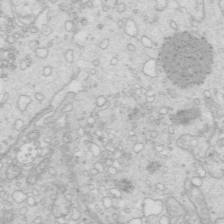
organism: Mouse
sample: Multiciliated cells